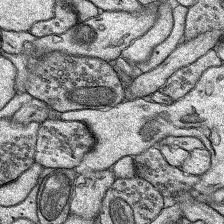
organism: Rat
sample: Hippocampus